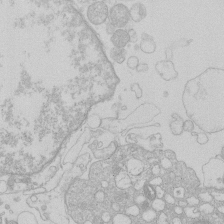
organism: Human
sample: Macrophage cells